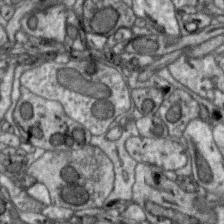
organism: Zebra finch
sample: Brain